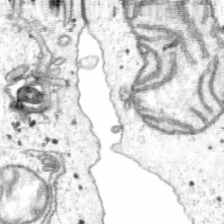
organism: Human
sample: HeLa cells